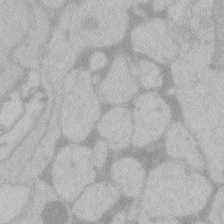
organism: Zebrafish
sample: Macrophage infected with Toxoplasma gondii